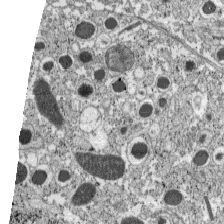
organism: C57BL Mouse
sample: Pancreatic islet